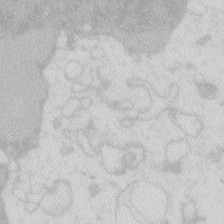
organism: Zebrafish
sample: Macrophage